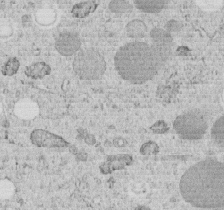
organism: C. elegans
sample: C. elegans embryo early stage